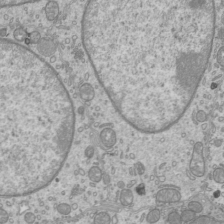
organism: Mouse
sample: Cilia; mouse epididymis